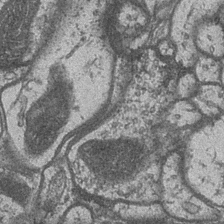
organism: Drosophila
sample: Optic medulla